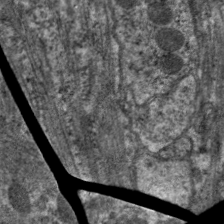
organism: C. elegans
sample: Pharynx